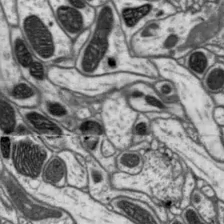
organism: Drosophila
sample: Protocerebral bridge